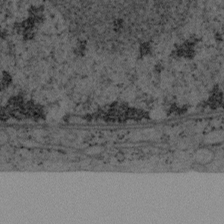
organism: Human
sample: HeLa cells